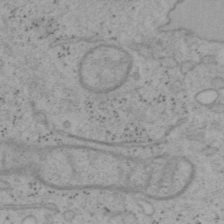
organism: Human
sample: HeLa cells